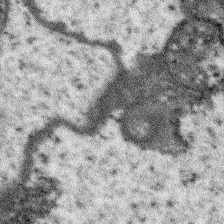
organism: Arabidopsis thaliana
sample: Root tip